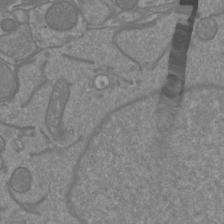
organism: Mouse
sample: Cortical neurons